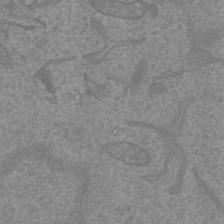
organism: Mouse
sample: Cortical neurons